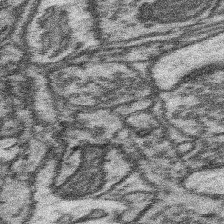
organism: Mouse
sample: Somatosensory cortex neuropil